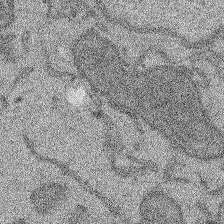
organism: Human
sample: HeLa cells